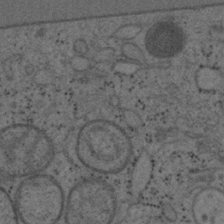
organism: Human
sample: HeLa cells